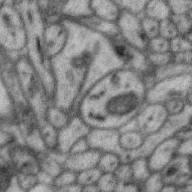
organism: Zebra finch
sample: Brain